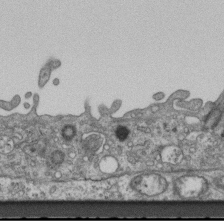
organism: Mouse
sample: Centriole in ependymal cells